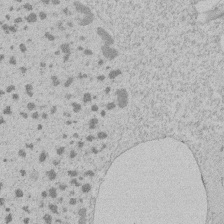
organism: Tetrahymena